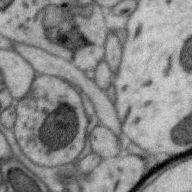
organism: Zebra finch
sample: Brain